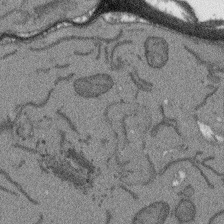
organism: Arabidopsis thaliana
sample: Root tip